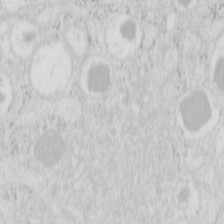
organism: Mouse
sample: Pancreas